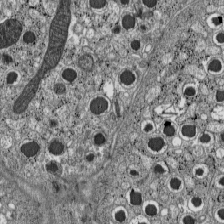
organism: C57BL Mouse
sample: Pancreatic islet